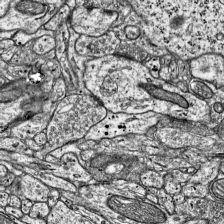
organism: Mouse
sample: Visual Cortex